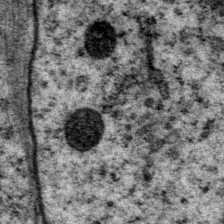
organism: P. pacificus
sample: Pharynx